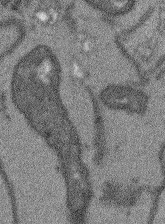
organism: Arabidopsis thaliana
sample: Root tip